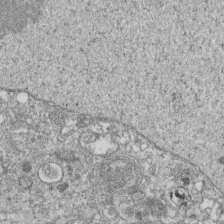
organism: Human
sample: HeLa cell HIV synapse